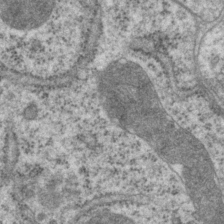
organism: P. pacificus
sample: Pharynx